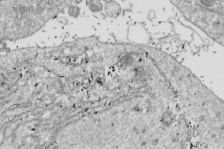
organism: Drosophila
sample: Cell division; meiosis; drosophila spermatocytes